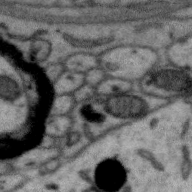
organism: Zebra finch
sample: Brain